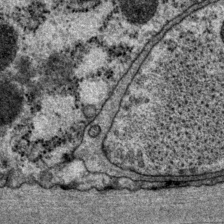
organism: P. pacificus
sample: Pharynx